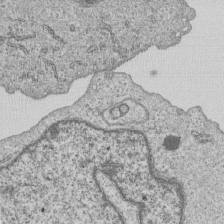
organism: Human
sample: MDA-MB-231 cells